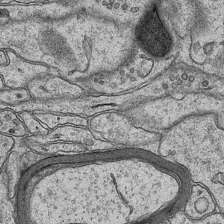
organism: Mouse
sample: CA1 Hippocampus